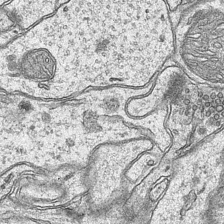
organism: Mouse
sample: CA1 Hippocampus